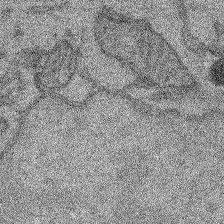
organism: Human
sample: HeLa cells